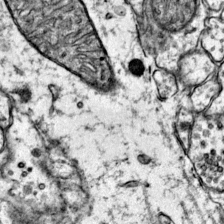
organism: Mouse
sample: Primary visual cortex